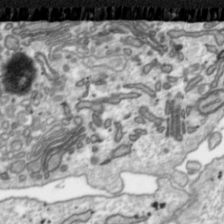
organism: Toxoplasma gondii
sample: Parasites in a vacuole inside a host cell